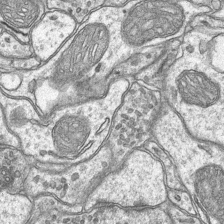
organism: Mouse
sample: CA1 Hippocampus